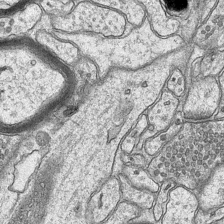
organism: Mouse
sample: CA1 Hippocampus